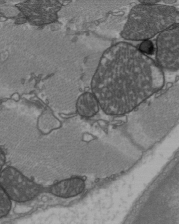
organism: C57BL Mouse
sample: Heart